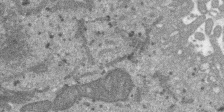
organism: Human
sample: Lung epithelial cells infected with SARS-CoV-2